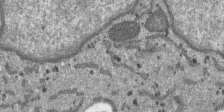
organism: Human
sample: Lung epithelial cells infected with SARS-CoV-2